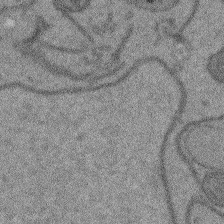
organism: Arabidopsis thaliana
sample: Root tip